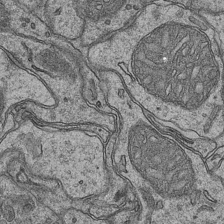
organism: Mouse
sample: CA1 Hippocampus